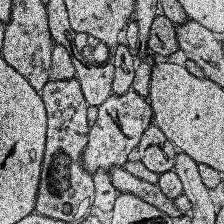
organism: Human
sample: Temporal Lobe